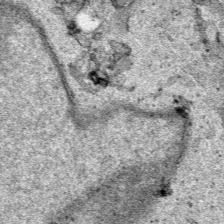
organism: Human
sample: Mitochondria in HCT116 cells